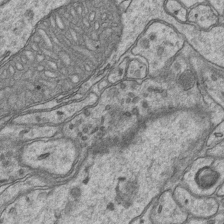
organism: Mouse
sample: CA1 Hippocampus